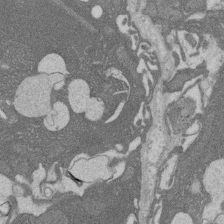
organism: Rat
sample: Salivary granule